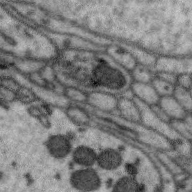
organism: Zebra finch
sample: Brain